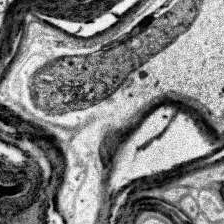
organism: Human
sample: Temporal Lobe